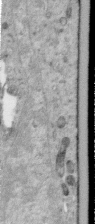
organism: Human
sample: Centriole in RPE cells